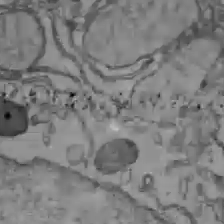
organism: C57BL Mouse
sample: Liver